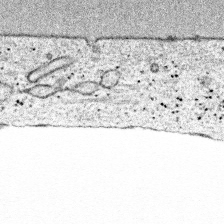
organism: Human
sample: HeLa cells